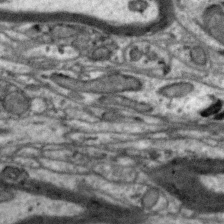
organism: Zebra finch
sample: Brain